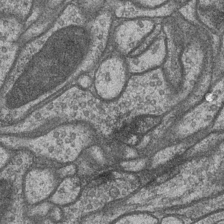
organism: Drosophila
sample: Optic medulla